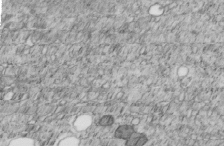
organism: C. elegans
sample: C. elegans embryo early stage